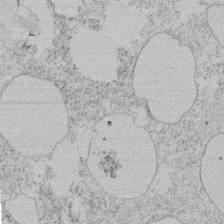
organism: Tetrahymena